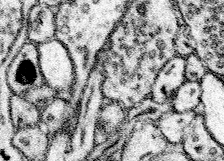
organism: Mouse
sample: Somatosensory cortex neuropil